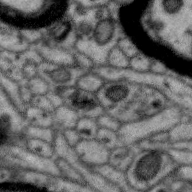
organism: Zebra finch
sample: Brain